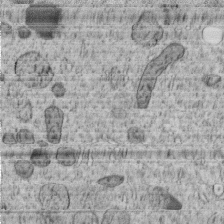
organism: C. elegans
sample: C. elegans embryo early stage